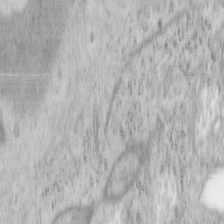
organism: Human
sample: HeLa cells